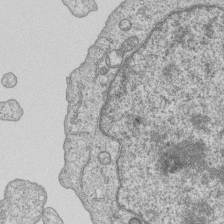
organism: Human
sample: MDA-MB-231 cells